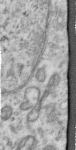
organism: Human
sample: Centriole in RPE cells